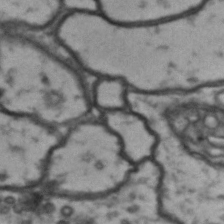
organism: Drosophila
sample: Brain